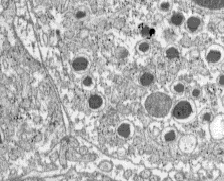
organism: C57BL Mouse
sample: Pancreatic islet